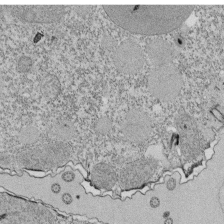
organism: Tetrahymena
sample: Cilia in tetrahymena